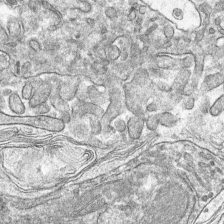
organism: Mouse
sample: Mouse hepatocytes